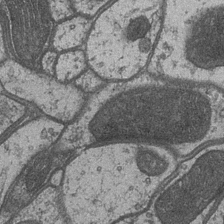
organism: Drosophila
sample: Optic medulla